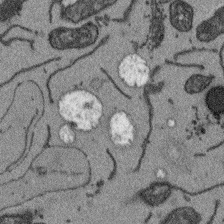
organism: Arabidopsis thaliana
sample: Root tip